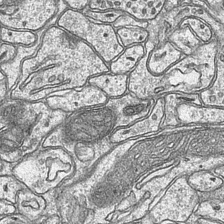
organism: Mouse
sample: CA1 Hippocampus